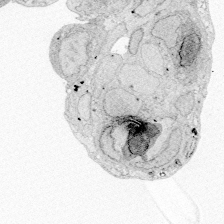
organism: Zebrafish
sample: Whole-Brain